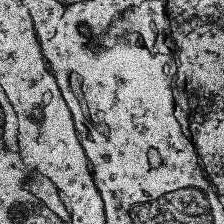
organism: Human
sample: Temporal Lobe